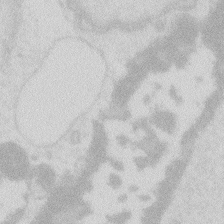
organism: Zebrafish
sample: Macrophage